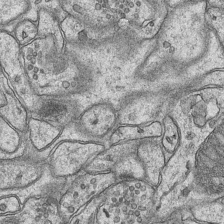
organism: Mouse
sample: CA1 Hippocampus